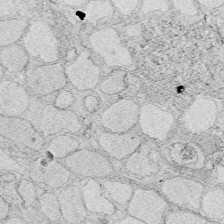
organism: Zebrafish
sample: Whole-Brain